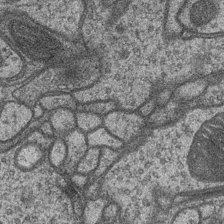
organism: Drosophila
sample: Optic medulla